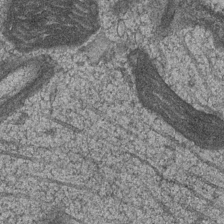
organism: Drosophila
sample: Optic medulla